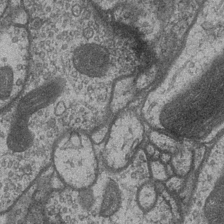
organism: Drosophila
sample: Optic medulla